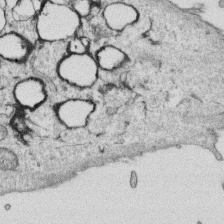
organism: Human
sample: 1205lu cells